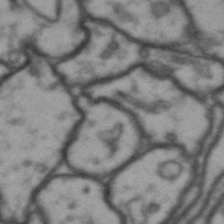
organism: Drosophila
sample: Brain